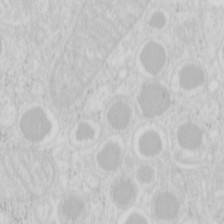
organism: Mouse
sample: Pancreas